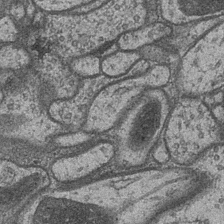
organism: Drosophila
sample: Optic medulla